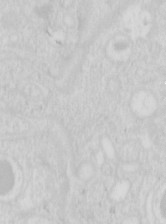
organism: Mouse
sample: Pancreas